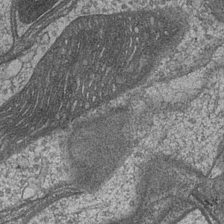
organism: Drosophila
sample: Optic medulla